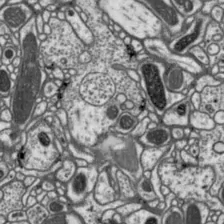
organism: Drosophila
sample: Protocerebral bridge